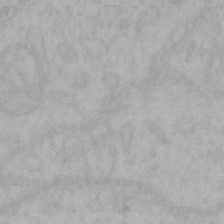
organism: Mouse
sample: Choroid plexus